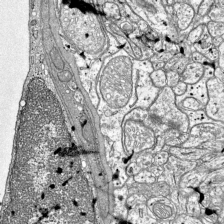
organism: Mouse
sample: Visual Cortex